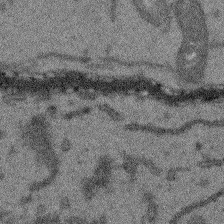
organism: Arabidopsis thaliana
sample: Root tip